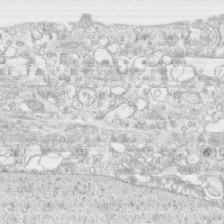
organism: Human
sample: CRL-1474